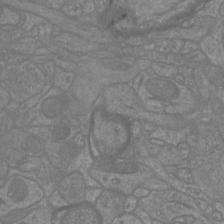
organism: Mouse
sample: Cortical neurons